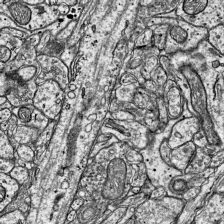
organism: Mouse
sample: Visual Cortex